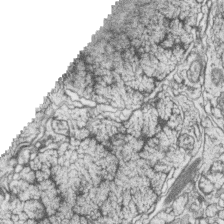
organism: Zebrafish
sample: synaptic ribbons in rod cells and cone cells